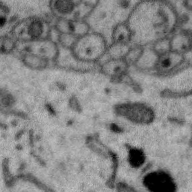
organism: Zebra finch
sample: Brain